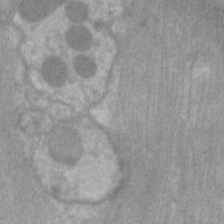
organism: C. elegans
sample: Pharynx